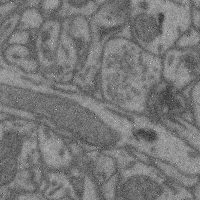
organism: Mouse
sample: Cerebral cortex